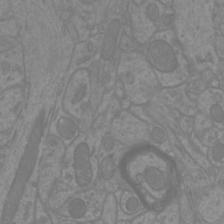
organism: Mouse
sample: Cortical neurons